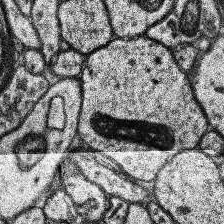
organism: Human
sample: Temporal Lobe